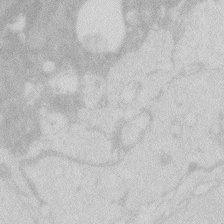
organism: Zebrafish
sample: Macrophage